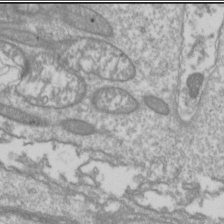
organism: Drosophila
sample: Cell division; meiosis; drosophila spermatocytes